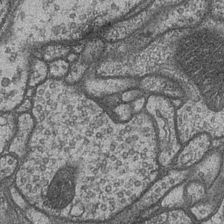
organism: Drosophila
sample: Optic medulla